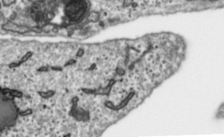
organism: Toxoplasma gondii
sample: Parasites in a vacuole inside a host cell